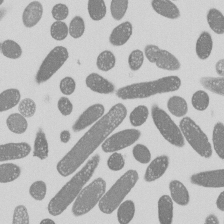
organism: E. coli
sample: Bacterial nucleoid